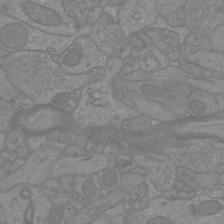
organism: Mouse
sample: Cortical neurons